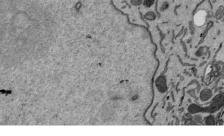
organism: Mouse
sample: ED-1 cell nuclei; centrioles